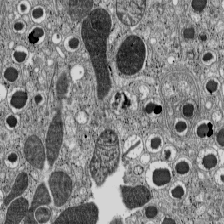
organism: C57BL Mouse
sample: Pancreatic islet